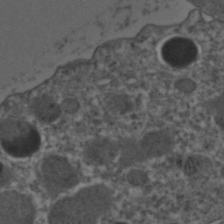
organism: C. elegans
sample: C. elegans embryo